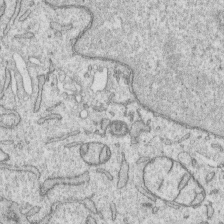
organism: Human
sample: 1205lu cells